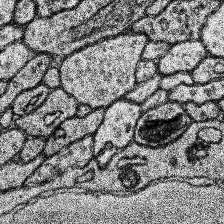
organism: Human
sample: Temporal Lobe